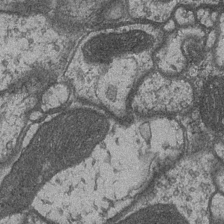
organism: Drosophila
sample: Optic medulla